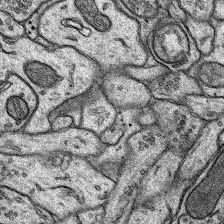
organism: Rat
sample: Hippocampus